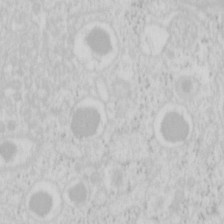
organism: Mouse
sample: Pancreas